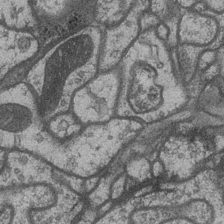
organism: Drosophila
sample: Optic medulla